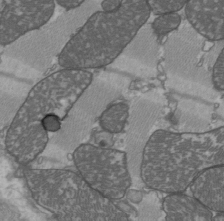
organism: C57BL Mouse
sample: Heart